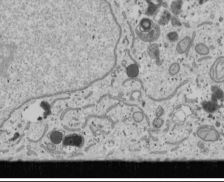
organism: Human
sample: Mitochondria in U2OS cells